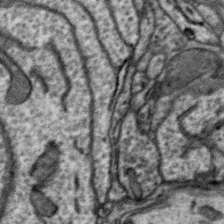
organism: Zebra finch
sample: Brain